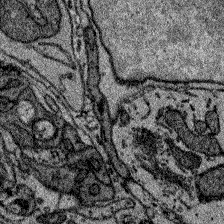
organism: Zebrafish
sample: Larval olfactory bulb